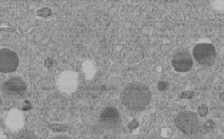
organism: C. elegans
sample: C. elegans embryo early stage